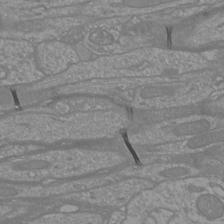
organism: Mouse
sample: Cortical neurons